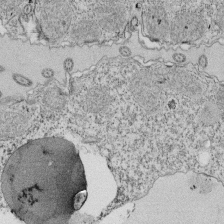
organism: Tetrahymena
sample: Cilia in tetrahymena